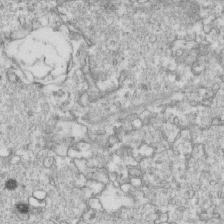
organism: Mouse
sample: Activated OT-1 CD8+ T cells